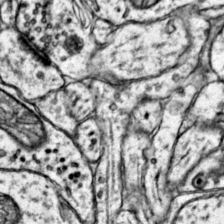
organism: Mouse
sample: Primary visual cortex